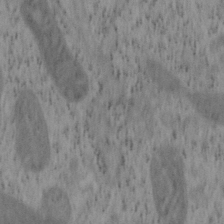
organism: Mouse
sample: OT-I killer T cells with ID8 ovarian cancer cells